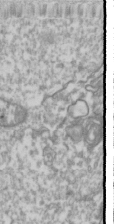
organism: Drosophila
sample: Cell division; meiosis; drosophila spermatocytes